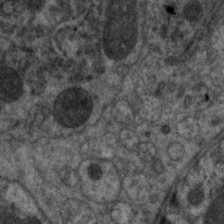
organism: C. elegans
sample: Pharynx